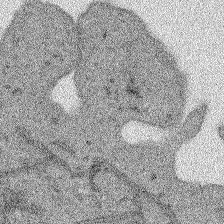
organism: Human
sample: HeLa cells